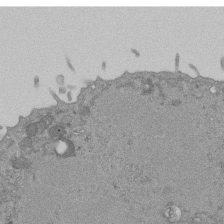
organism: Mouse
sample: ED-1 cell nuclei; centrioles